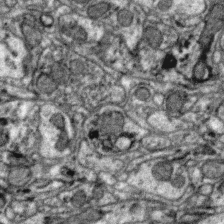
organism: Zebra finch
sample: Brain